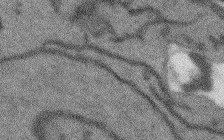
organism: Arabidopsis thaliana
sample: Root tip